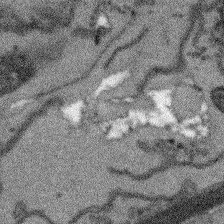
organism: Arabidopsis thaliana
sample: Root tip